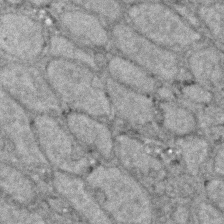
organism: Zebrafish